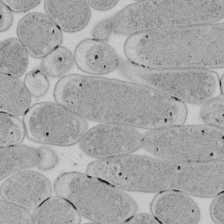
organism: E. coli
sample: Bacterial nucleoid